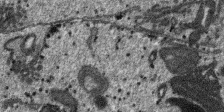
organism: Human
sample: Lung epithelial cells infected with SARS-CoV-2